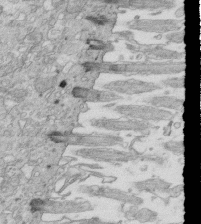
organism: Mouse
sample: Multiciliated cells